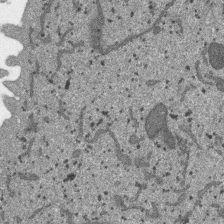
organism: Human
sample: Lung epithelial cells infected with SARS-CoV-2